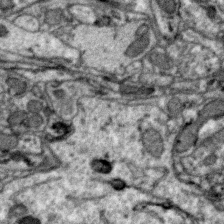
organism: Zebra finch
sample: Brain